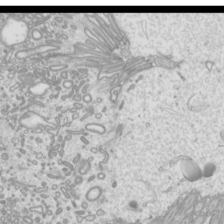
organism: Mouse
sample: Cilia; mouse epididymis